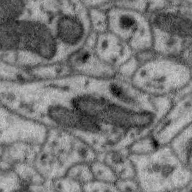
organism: Zebra finch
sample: Brain